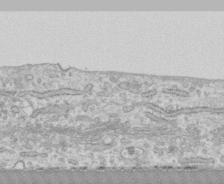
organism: Human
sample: CRL-1474